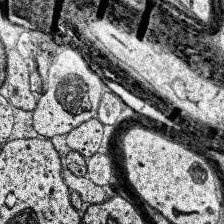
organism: Human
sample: Temporal Lobe